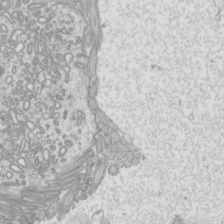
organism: Mouse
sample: Cilia; mouse epididymis